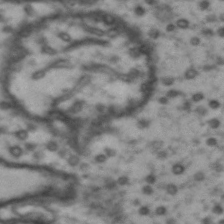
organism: Drosophila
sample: Brain